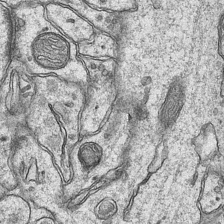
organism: Mouse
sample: CA1 Hippocampus